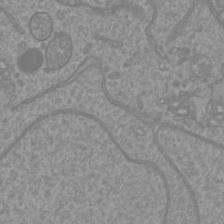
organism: Mouse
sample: Cortical neurons